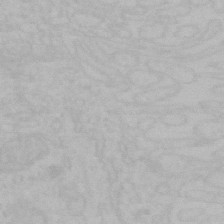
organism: Mouse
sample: Choroid plexus